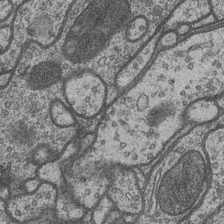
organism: Drosophila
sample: Optic medulla